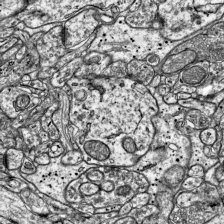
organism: Mouse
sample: Visual Cortex